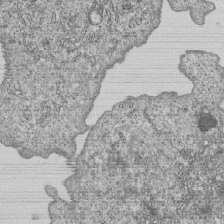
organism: Human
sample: MDA-MB-231 cells